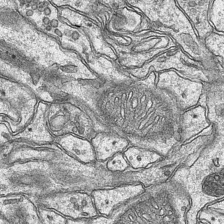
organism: Mouse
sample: CA1 Hippocampus